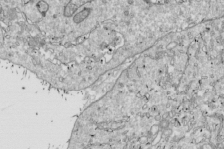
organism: Drosophila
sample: Cell division; meiosis; drosophila spermatocytes